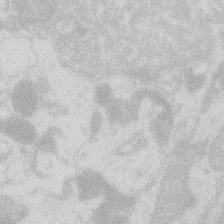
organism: Zebrafish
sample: Macrophage